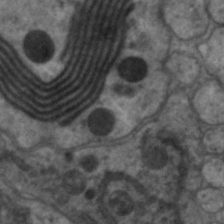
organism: C. elegans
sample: Pharynx